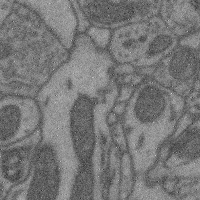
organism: Mouse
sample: Cerebral cortex